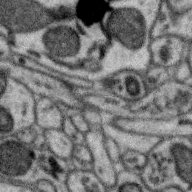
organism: Zebra finch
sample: Brain